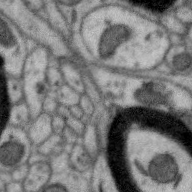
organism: Zebra finch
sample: Brain